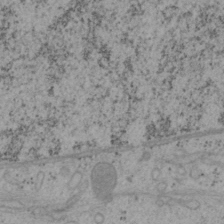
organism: Human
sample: HeLa cells